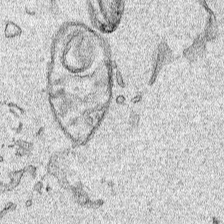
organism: Human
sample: Mitochondria in HCT116 cells